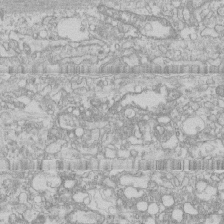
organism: Human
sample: CRL-1474